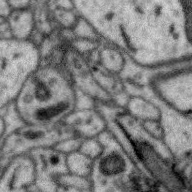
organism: Zebra finch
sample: Brain